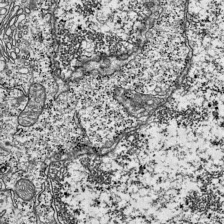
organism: Mouse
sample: Visual Cortex